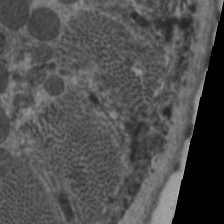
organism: C. elegans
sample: Pharynx